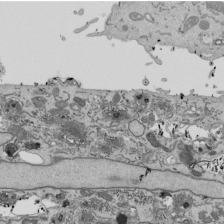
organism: Mouse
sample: ED-1 cell nuclei; centrioles